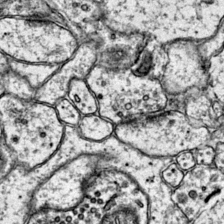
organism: Mouse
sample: Primary visual cortex